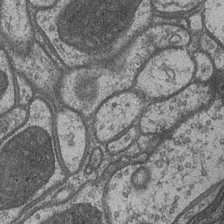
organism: Drosophila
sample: Optic medulla